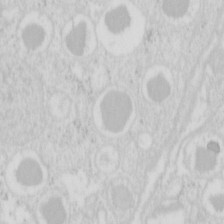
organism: Mouse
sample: Pancreas